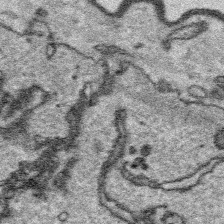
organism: Platynereis dumerilii